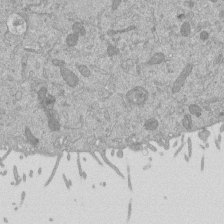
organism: Mouse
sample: ED-1 cell nuclei; centrioles